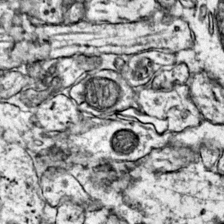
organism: Mouse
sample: Primary visual cortex